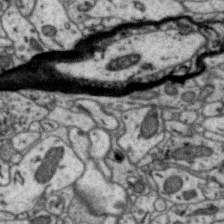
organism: Zebra finch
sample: Brain